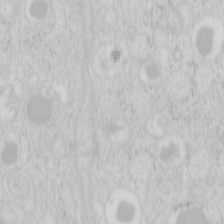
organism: Mouse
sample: Pancreas